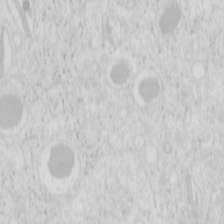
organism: Mouse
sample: Pancreas